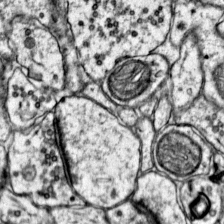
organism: Mouse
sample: Primary visual cortex